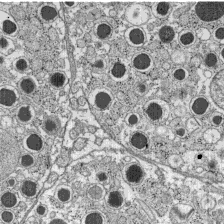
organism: C57BL Mouse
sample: Pancreatic islet